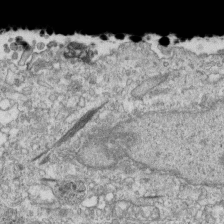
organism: Human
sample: HeLa cell HIV synapse